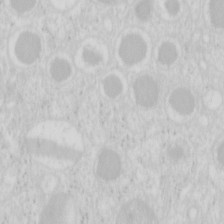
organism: Mouse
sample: Pancreas